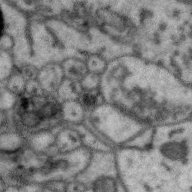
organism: Zebra finch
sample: Brain